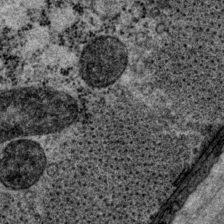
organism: P. pacificus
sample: Pharynx